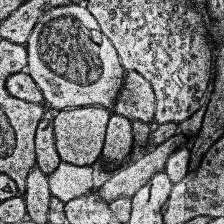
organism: Human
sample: Temporal Lobe